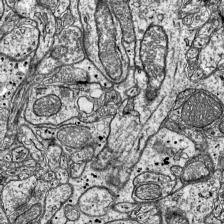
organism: Mouse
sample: Visual Cortex